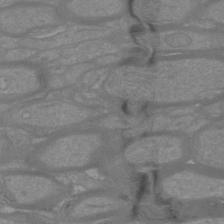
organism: Mouse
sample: Cortical neurons